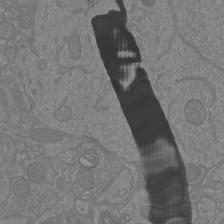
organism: Mouse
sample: Cortical neurons